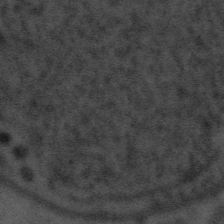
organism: Tuwongella immobilis